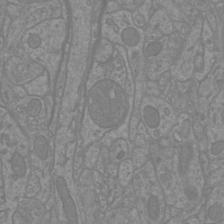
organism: Mouse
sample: Cortical neurons